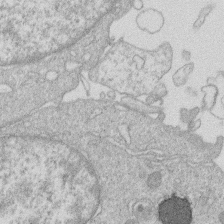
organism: Human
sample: Macrophage cells